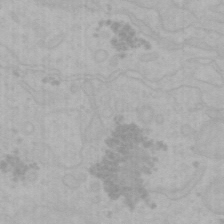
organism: Mouse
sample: Choroid plexus